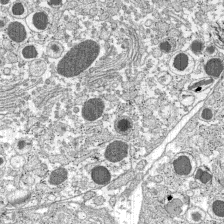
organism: C57BL Mouse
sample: Pancreatic islet